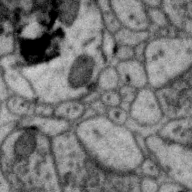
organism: Zebra finch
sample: Brain